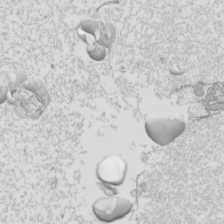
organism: Mouse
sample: Cilia; mouse epididymis